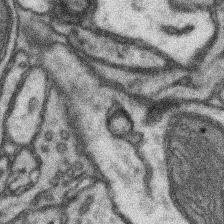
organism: Mouse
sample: Somatosensory cortex neuropil